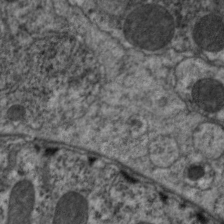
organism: C. elegans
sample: Pharynx